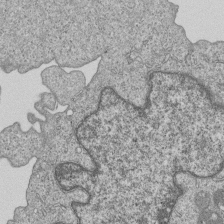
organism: Human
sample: MDA-MB-231 cells